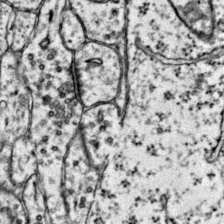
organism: Mouse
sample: Primary visual cortex